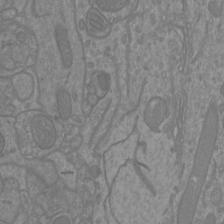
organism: Mouse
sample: Cortical neurons